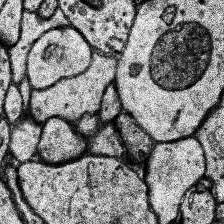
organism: Human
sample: Temporal Lobe